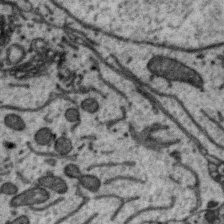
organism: Zebra finch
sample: Brain